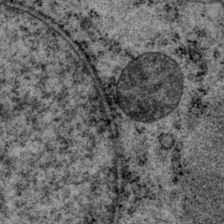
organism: P. pacificus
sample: Pharynx